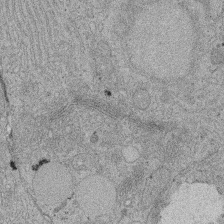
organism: Rat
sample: Salivary granule